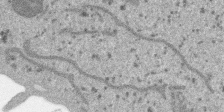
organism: Human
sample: Lung epithelial cells infected with SARS-CoV-2